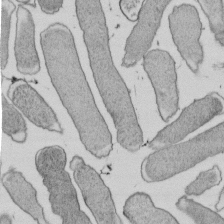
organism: E. coli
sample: Bacterial nucleoid